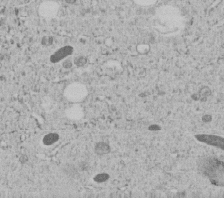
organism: C. elegans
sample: C. elegans embryo early stage